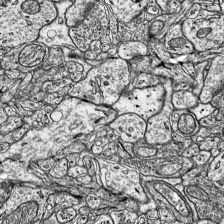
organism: Mouse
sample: Visual Cortex